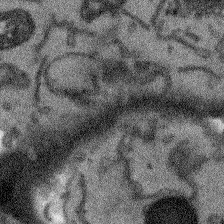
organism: Arabidopsis thaliana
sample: Root tip